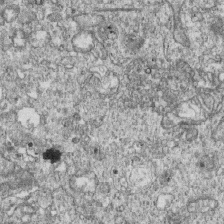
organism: Human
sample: HeLa cell HIV synapse